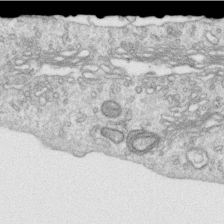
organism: Human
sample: Centriole in RPE cells